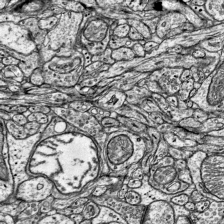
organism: Mouse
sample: Visual Cortex